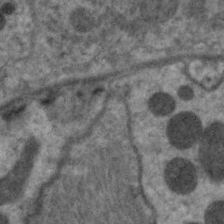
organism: C. elegans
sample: Pharynx